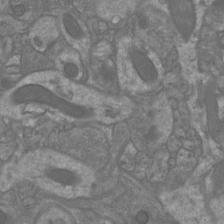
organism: Mouse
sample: Cortical neurons